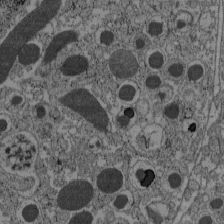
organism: C57BL Mouse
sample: Pancreatic islet